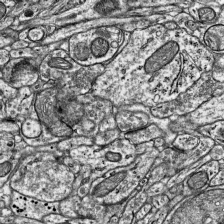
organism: Mouse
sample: Visual Cortex